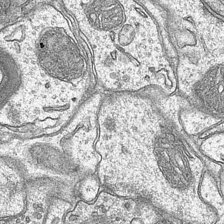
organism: Mouse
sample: CA1 Hippocampus